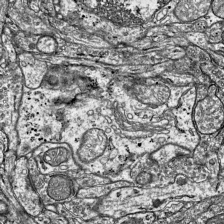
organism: Mouse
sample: Visual Cortex